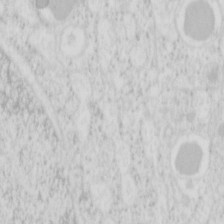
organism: Mouse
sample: Pancreas